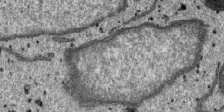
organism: Human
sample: Lung epithelial cells, uninfected (mock) control